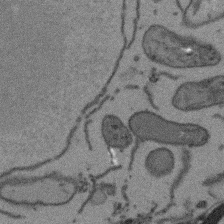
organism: Arabidopsis thaliana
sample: Root tip